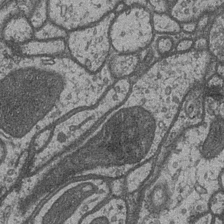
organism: Drosophila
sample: Optic medulla